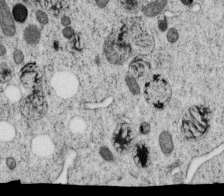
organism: C. elegans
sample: C. elegans oocyte; sperm cells